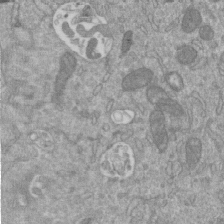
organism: Mouse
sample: ED-1 cell nuclei; centrioles